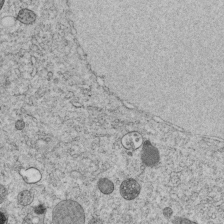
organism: C. elegans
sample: C. elegans embryo early stage